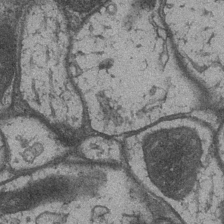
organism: Drosophila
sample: Optic medulla